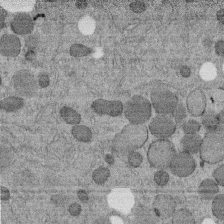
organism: C. elegans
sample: C. elegans embryo early stage